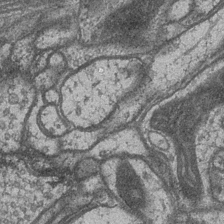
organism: Drosophila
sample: Optic medulla